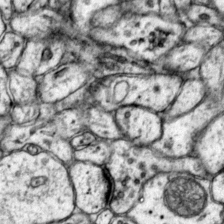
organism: Mouse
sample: Primary visual cortex